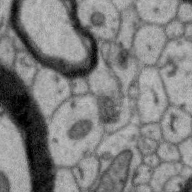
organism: Zebra finch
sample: Brain